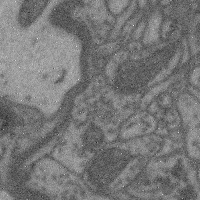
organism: Mouse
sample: Cerebral cortex